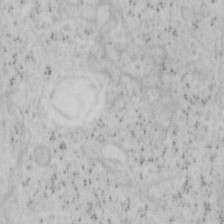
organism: Human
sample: HeLa cells